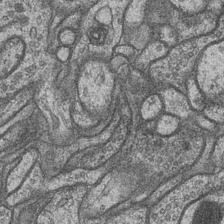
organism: Drosophila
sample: Optic medulla